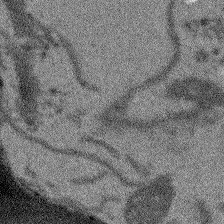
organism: Arabidopsis thaliana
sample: Root tip